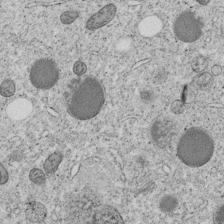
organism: C. elegans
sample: C. elegans embryo early stage